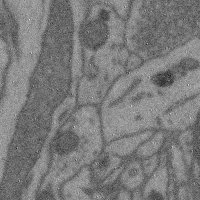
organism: Mouse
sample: Cerebral cortex